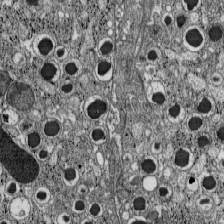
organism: C57BL Mouse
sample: Pancreatic islet